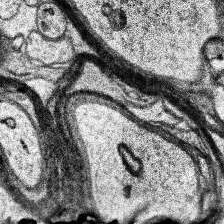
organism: Human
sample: Temporal Lobe